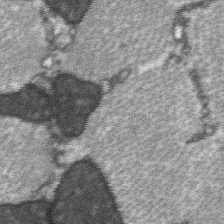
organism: C57BL Mouse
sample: Soleus